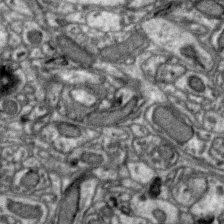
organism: Zebra finch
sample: Brain